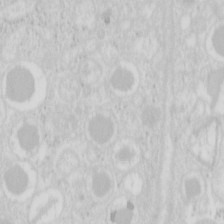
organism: Mouse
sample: Pancreas